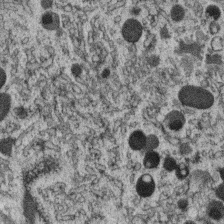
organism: C. elegans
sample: C. elegans oocyte; sperm cells